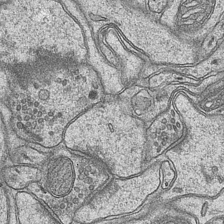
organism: Mouse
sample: CA1 Hippocampus